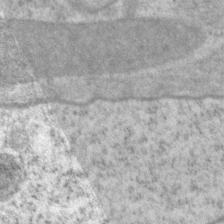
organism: P. pacificus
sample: Pharynx